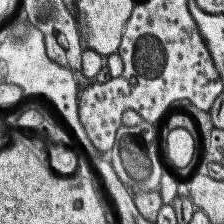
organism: Human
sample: Temporal Lobe